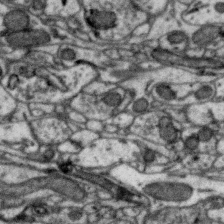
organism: Zebra finch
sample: Brain